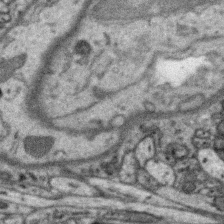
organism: Zebra finch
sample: Brain